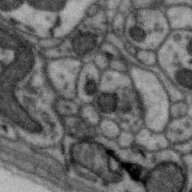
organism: Zebra finch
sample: Brain